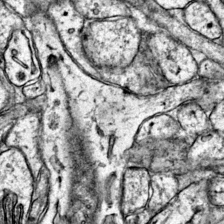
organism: Mouse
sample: Primary visual cortex